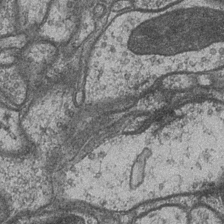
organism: Drosophila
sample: Optic medulla